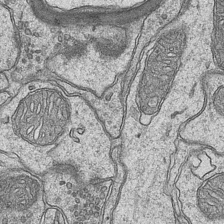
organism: Mouse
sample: CA1 Hippocampus